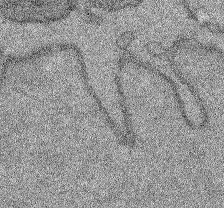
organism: Human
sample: HeLa cells